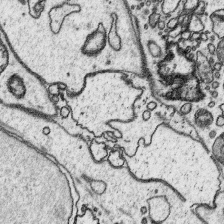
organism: Platynereis dumerilii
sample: Parapodia